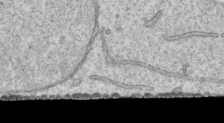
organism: Human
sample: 1205lu cells